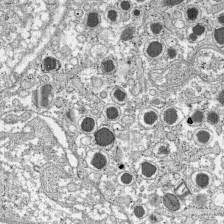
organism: C57BL Mouse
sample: Pancreatic islet